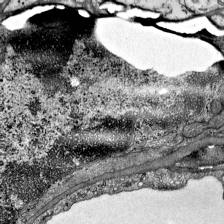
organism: Mouse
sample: Visual Cortex